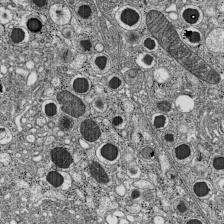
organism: C57BL Mouse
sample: Pancreatic islet